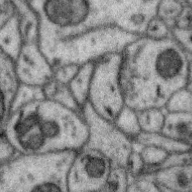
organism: Zebra finch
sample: Brain